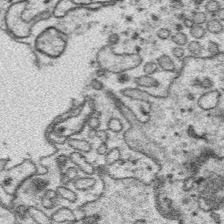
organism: Platynereis dumerilii